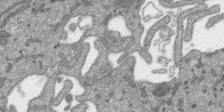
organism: Human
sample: Lung epithelial cells infected with SARS-CoV-2